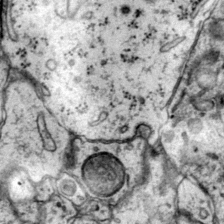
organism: Mouse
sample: Primary visual cortex